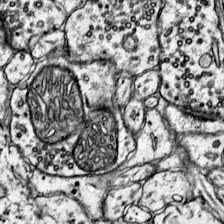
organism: Mouse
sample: Primary visual cortex